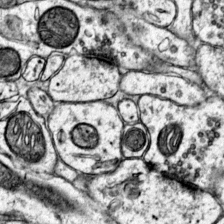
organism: Mouse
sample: Primary visual cortex